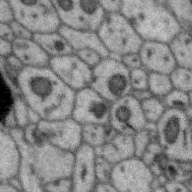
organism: Zebra finch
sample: Brain